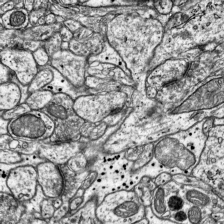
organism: Mouse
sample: Visual Cortex